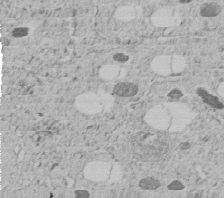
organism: C. elegans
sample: C. elegans embryo early stage